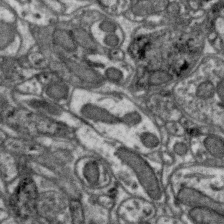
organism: Zebra finch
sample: Brain